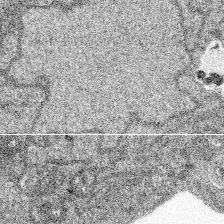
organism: Spongilla lacustris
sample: Multiple